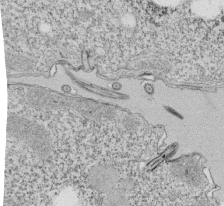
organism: Tetrahymena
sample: Cilia in tetrahymena